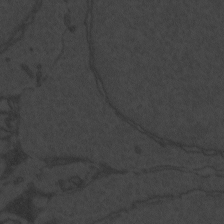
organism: Zebrafish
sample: Macrophage infected with Toxoplasma gondii